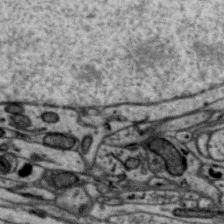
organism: Zebra finch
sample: Brain